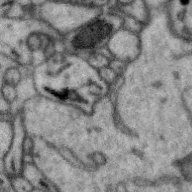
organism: Zebra finch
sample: Brain